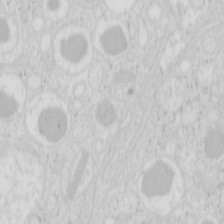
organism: Mouse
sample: Pancreas